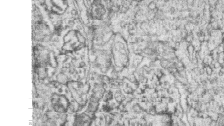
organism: Zebrafish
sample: synaptic ribbons in rod cells and cone cells